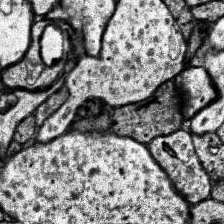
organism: Human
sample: Temporal Lobe